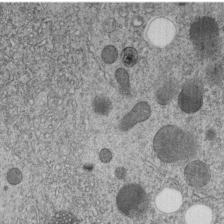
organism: C. elegans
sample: C. elegans embryo early stage